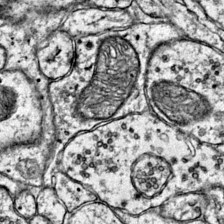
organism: Mouse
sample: Primary visual cortex